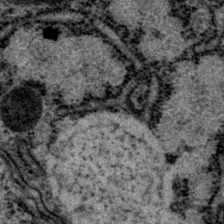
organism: P. pacificus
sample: Pharynx